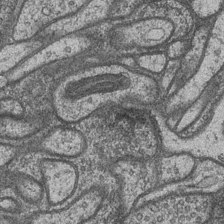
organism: Drosophila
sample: Optic medulla